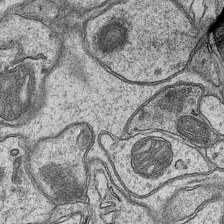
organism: Mouse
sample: CA1 Hippocampus